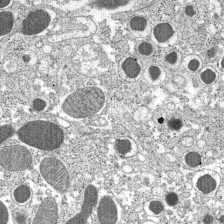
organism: C57BL Mouse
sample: Pancreatic islet